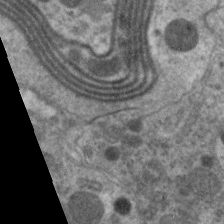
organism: C. elegans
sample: Pharynx